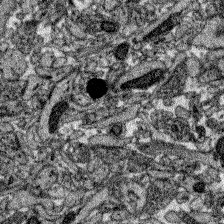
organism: Zebrafish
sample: Larval olfactory bulb